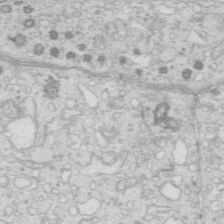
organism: Mouse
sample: Multiciliated cells